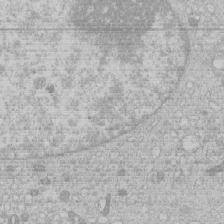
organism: Human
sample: Macrophage cells